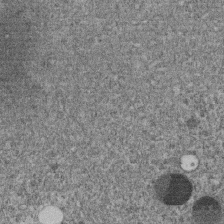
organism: C. elegans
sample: C. elegans embryo early stage